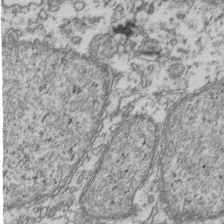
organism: Human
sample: Activated Jurkat CD4+ T cells